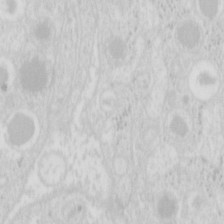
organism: Mouse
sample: Pancreas